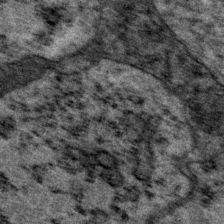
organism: P. pacificus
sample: Pharynx